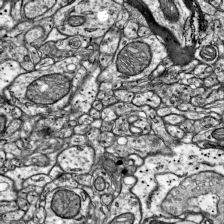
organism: Mouse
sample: Visual Cortex